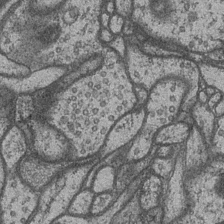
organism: Drosophila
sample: Optic medulla